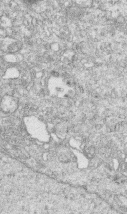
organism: Human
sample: HeLa cell HIV synapse